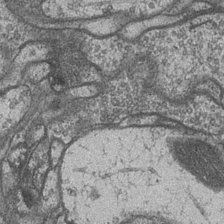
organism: Drosophila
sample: Optic medulla